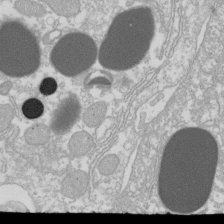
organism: Xenopus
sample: Cilia; centrioles in frog embryo cells